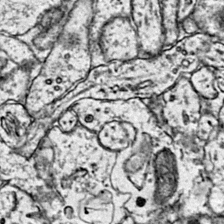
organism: Mouse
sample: Primary visual cortex